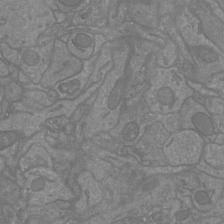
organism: Mouse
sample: Cortical neurons